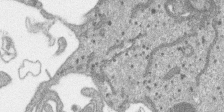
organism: Human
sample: Lung epithelial cells infected with SARS-CoV-2